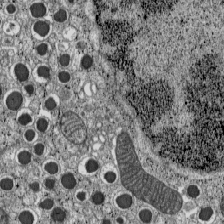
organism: C57BL Mouse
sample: Pancreatic islet